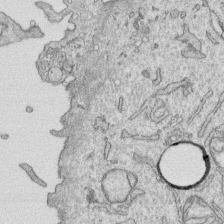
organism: Human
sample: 1205lu cells